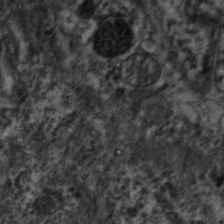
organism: Zebrafish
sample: Zebrafish embryo